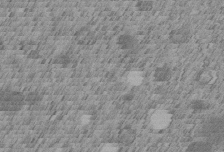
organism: C. elegans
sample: C. elegans embryo early stage